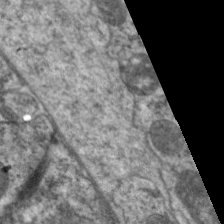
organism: C. elegans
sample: Pharynx